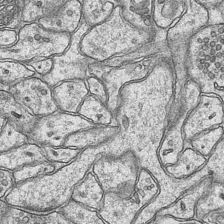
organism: Mouse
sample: CA1 Hippocampus